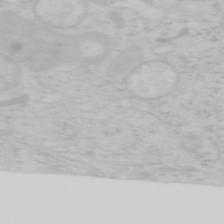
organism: Mouse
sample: OT-I killer T cells with ID8 ovarian cancer cells